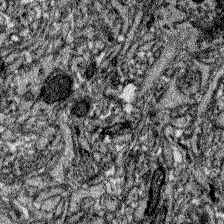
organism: Zebrafish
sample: Larval olfactory bulb